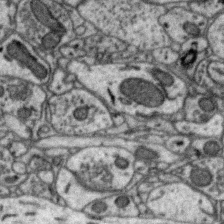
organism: Zebra finch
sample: Brain